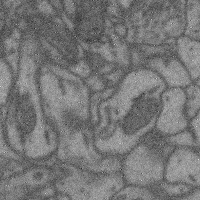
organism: Mouse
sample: Cerebral cortex